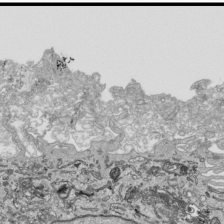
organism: Human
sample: Mitochondria in HCT116 cells